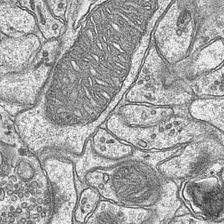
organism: Mouse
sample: CA1 Hippocampus